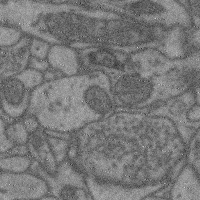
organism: Mouse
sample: Cerebral cortex